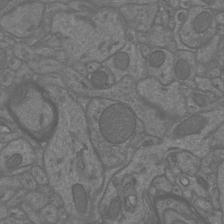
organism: Mouse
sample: Cortical neurons